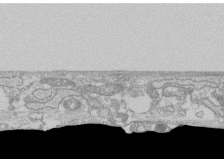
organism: Human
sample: CRL-1474